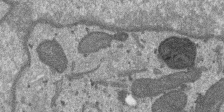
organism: Human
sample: Lung epithelial cells infected with SARS-CoV-2